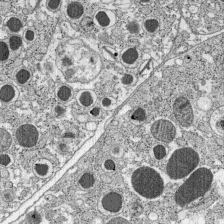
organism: C57BL Mouse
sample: Pancreatic islet